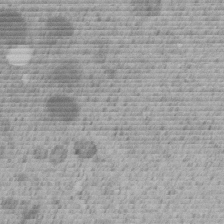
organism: C. elegans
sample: C. elegans embryo early stage